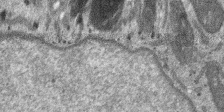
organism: Human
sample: Lung epithelial cells infected with SARS-CoV-2